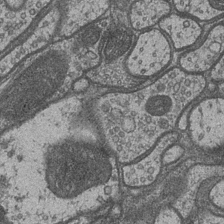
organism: Drosophila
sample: Optic medulla